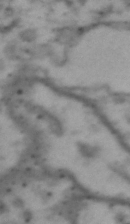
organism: Drosophila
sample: Brain